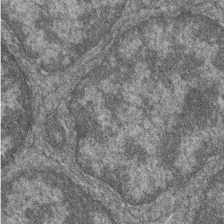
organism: Zebrafish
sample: Cilia; retinal pigment epithelium